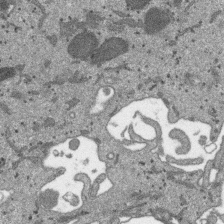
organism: Human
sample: Lung epithelial cells infected with SARS-CoV-2